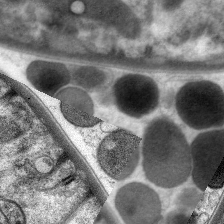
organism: C. elegans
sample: Pharynx